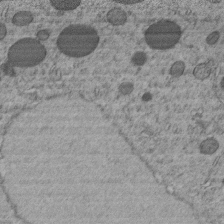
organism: C. elegans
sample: C. elegans embryo early stage